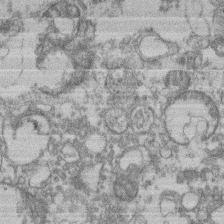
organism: Mouse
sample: T cell stromal cell synapse